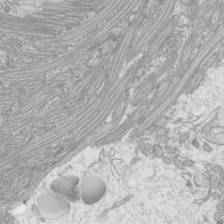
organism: Mouse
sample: Cilia; mouse epididymis